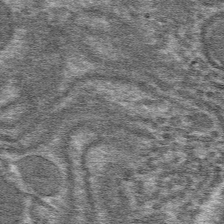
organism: Mouse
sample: Mouse hepatocytes